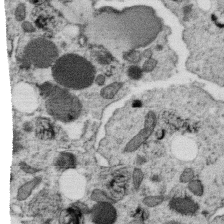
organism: C. elegans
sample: C. elegans oocyte; sperm cells